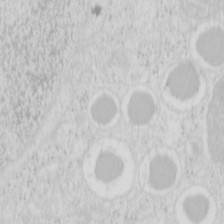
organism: Mouse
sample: Pancreas